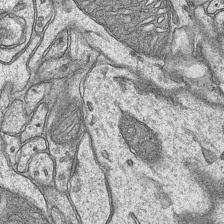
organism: Mouse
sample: CA1 Hippocampus